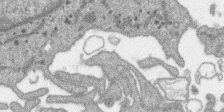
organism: Human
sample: Lung epithelial cells infected with SARS-CoV-2